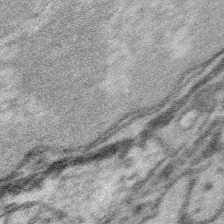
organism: Platynereis dumerilii